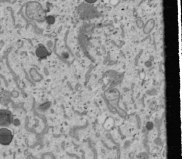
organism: Human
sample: Mitochondria in U2OS cells